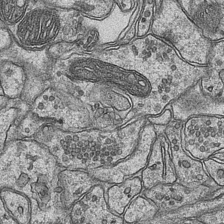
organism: Mouse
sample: CA1 Hippocampus